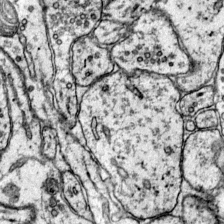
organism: Mouse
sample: Primary visual cortex